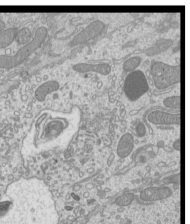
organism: Mouse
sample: Cilia; mouse epididymis